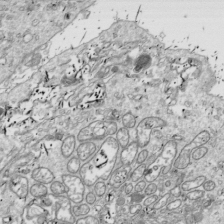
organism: Drosophila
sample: Cell division; meiosis; drosophila spermatocytes